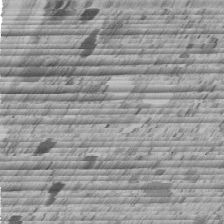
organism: C. elegans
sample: C. elegans embryo early stage